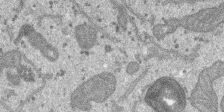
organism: Human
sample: Lung epithelial cells infected with SARS-CoV-2